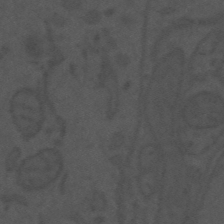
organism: Mouse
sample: Suprachiasmatic nucleus